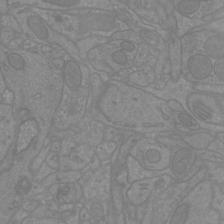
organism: Mouse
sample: Cortical neurons